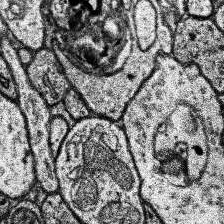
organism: Human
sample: Temporal Lobe